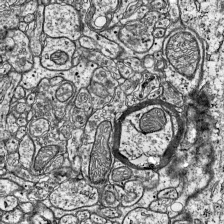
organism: Mouse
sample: Visual Cortex